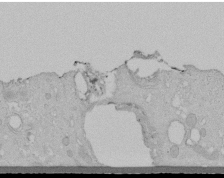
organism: Human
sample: Melanocyte Keratinocyte synapse skin construct